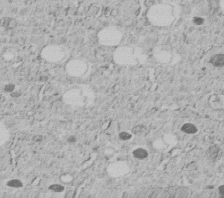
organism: C. elegans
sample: C. elegans embryo early stage